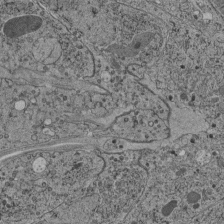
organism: C. elegans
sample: C. elegans pharynx